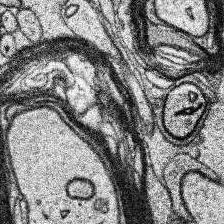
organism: Human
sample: Temporal Lobe